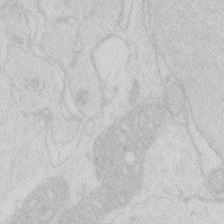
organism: Zebrafish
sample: Macrophage